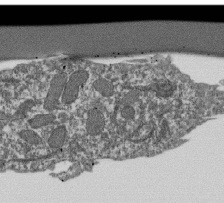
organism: Dictyostelium discoideum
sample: Dictyostelium multivesicular bodies